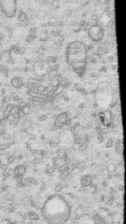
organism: Human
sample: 1205lu cells